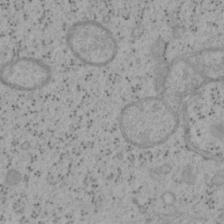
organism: Human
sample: HeLa cells